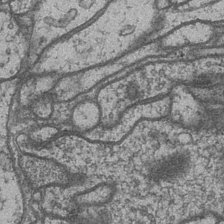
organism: Drosophila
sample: Optic medulla